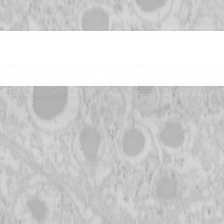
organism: Mouse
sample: Pancreas